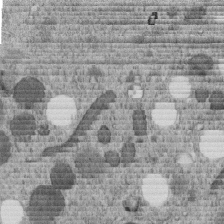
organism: C. elegans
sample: C. elegans embryo early stage